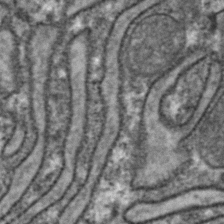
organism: Zebrafish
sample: Zebrafish embryo